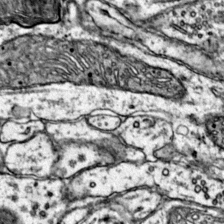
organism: Mouse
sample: Primary visual cortex